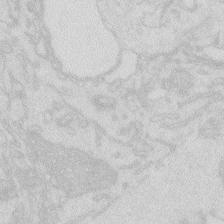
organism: Zebrafish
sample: Macrophage